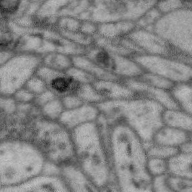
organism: Zebra finch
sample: Brain